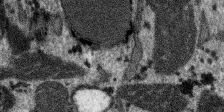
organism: Human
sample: Lung epithelial cells infected with SARS-CoV-2